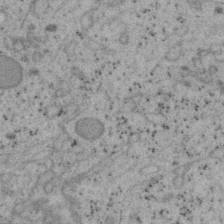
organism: Human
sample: HeLa cells